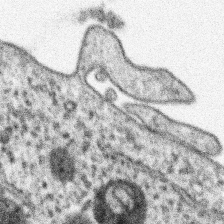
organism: Human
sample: HeLa cells